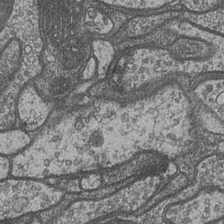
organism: Drosophila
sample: Optic medulla